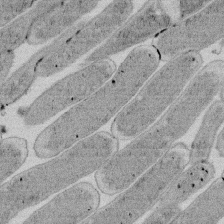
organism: E. coli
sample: Bacterial nucleoid